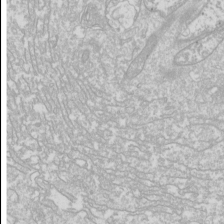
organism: Drosophila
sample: Cell division; meiosis; drosophila spermatocytes